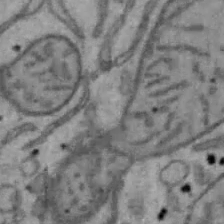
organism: Mouse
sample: Liver